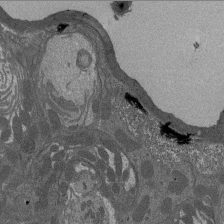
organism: Drosophila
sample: Antenna